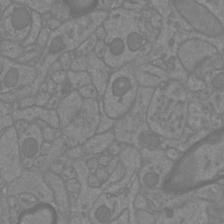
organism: Mouse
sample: Cortical neurons